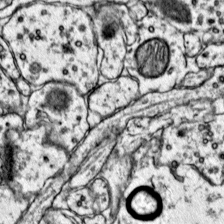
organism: Mouse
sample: Primary visual cortex